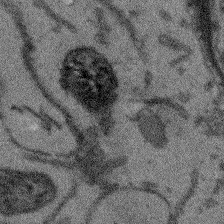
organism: Arabidopsis thaliana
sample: Root tip